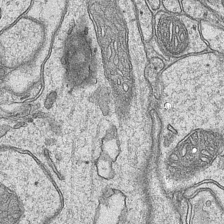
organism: Mouse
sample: CA1 Hippocampus